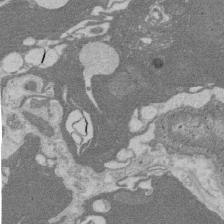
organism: Rat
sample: Salivary granule